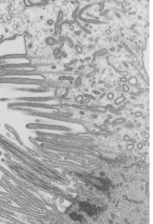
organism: Mouse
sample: Mouse epididymis efferent ductule cilia